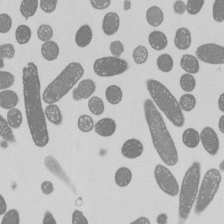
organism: E. coli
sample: Bacterial nucleoid